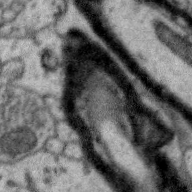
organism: Zebra finch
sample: Brain